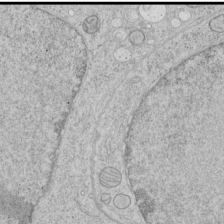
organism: Human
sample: Mitochondria in HCT116 cells